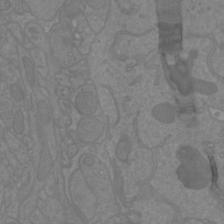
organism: Mouse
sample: Cortical neurons